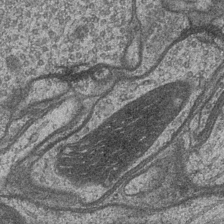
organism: Drosophila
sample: Optic medulla